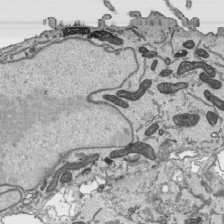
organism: Human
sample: Mitochondria in HCT116 cells